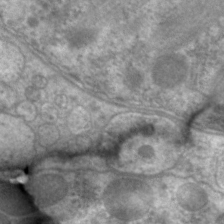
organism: C. elegans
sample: Pharynx